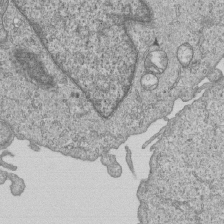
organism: Human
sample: MDA-MB-231 cells